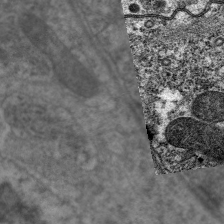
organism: C. elegans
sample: Pharynx